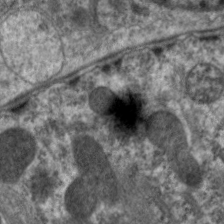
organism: C. elegans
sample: Pharynx